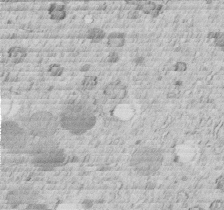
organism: C. elegans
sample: C. elegans embryo early stage